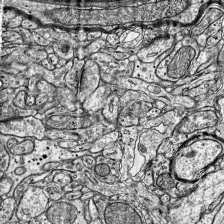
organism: Mouse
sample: Visual Cortex